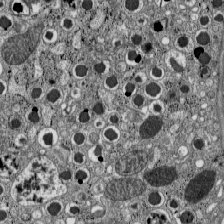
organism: C57BL Mouse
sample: Pancreatic islet